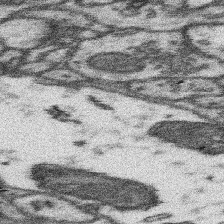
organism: Mouse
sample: Somatosensory cortex neuropil